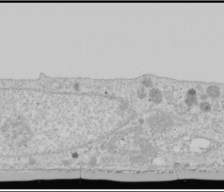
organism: Human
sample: Mitochondria in U2OS cells